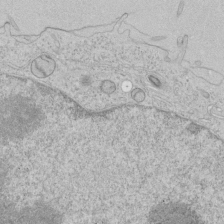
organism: Human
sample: Mitochondria in HCT116 cells